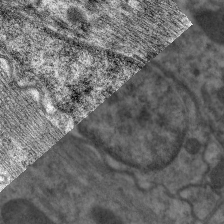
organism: C. elegans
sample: Pharynx